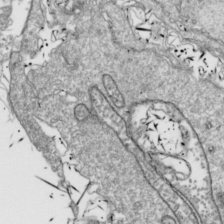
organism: Drosophila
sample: Cell division; meiosis; drosophila spermatocytes